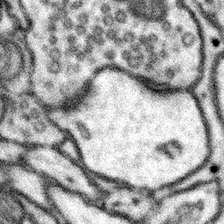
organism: Mouse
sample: Somatosensory cortex neuropil